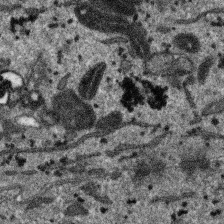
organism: Human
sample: Lung epithelial cells infected with SARS-CoV-2